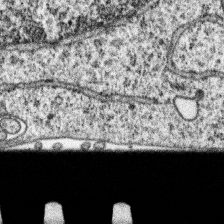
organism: Human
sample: HeLa cells